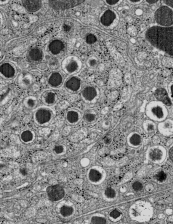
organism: C57BL Mouse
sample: Pancreatic islet